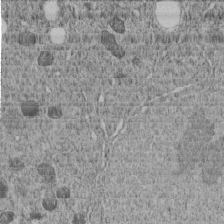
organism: C. elegans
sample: C. elegans embryo early stage